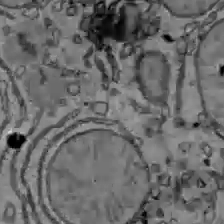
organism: C57BL Mouse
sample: Liver